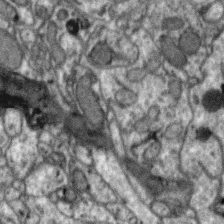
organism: Zebra finch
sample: Brain